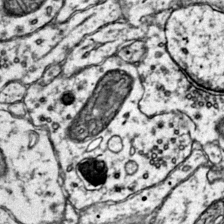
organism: Mouse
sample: Primary visual cortex